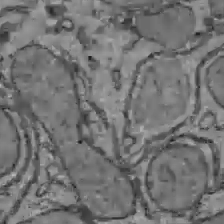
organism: C57BL Mouse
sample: Liver